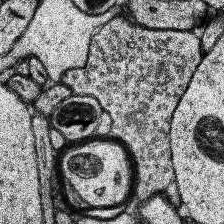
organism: Human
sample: Temporal Lobe